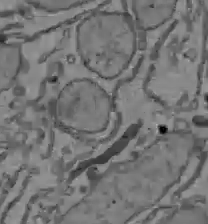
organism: C57BL Mouse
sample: Liver